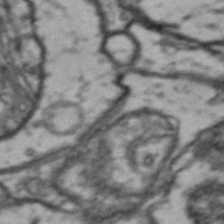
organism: Drosophila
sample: Brain